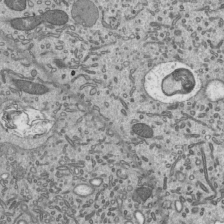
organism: Mouse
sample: Mouse epididymis efferent ductule cilia